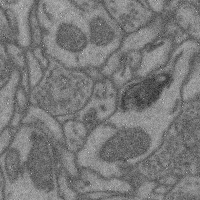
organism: Mouse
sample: Cerebral cortex